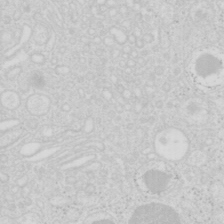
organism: Mouse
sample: Pancreas